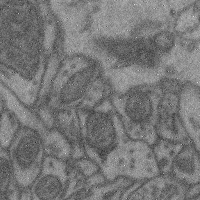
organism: Mouse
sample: Cerebral cortex